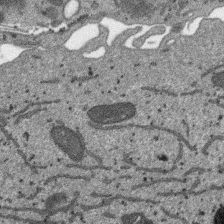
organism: Human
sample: Lung epithelial cells infected with SARS-CoV-2